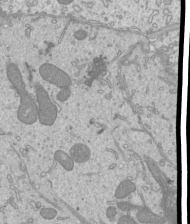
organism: Mouse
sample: Cilia; mouse epididymis